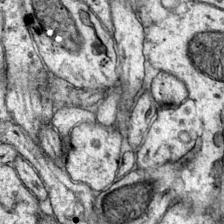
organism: Mouse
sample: Primary visual cortex